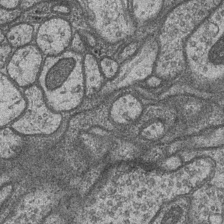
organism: Drosophila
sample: Optic medulla